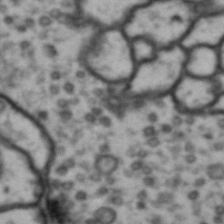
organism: Drosophila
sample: Brain